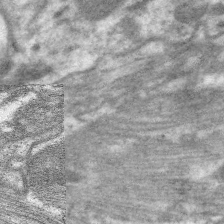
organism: C. elegans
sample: Pharynx